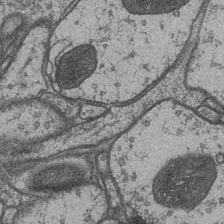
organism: Drosophila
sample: Optic medulla